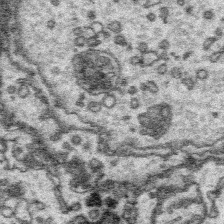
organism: Platynereis dumerilii